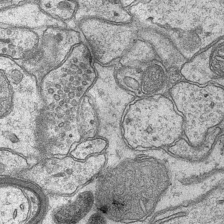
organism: Mouse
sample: CA1 Hippocampus